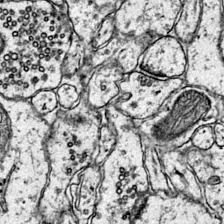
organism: Mouse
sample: Primary visual cortex